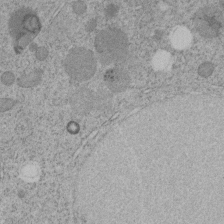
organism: C. elegans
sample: C. elegans embryo early stage